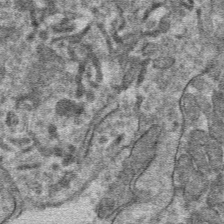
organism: Mouse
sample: Mouse hepatocytes